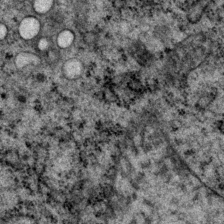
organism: P. pacificus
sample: Pharynx